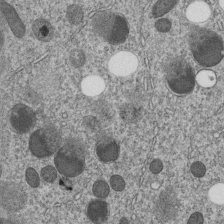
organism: C. elegans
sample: C. elegans embryo early stage